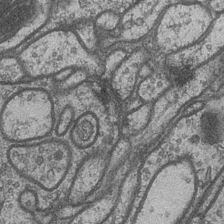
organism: Drosophila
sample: Optic medulla